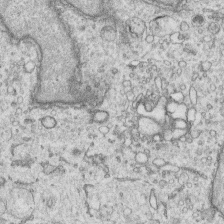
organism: Human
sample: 1205lu cells